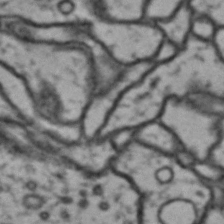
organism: Drosophila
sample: Brain